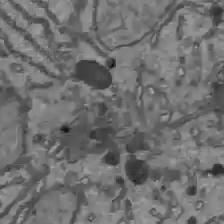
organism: C57BL Mouse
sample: Liver